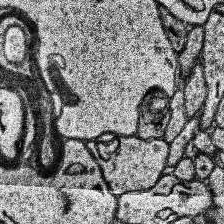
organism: Human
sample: Temporal Lobe